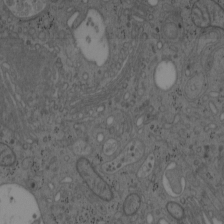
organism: Mouse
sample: OT-I killer T cells with ID8 ovarian cancer cells